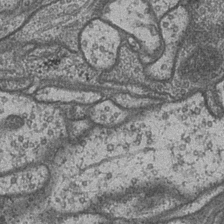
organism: Drosophila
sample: Optic medulla